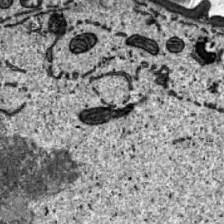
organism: Human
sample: HeLa cells